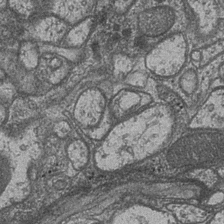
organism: Drosophila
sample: Optic medulla